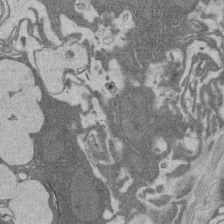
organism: Rat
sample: Salivary granule